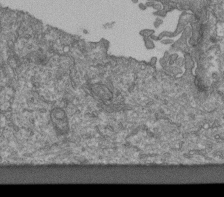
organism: Human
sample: Retinal organoid Rod and Cone cells